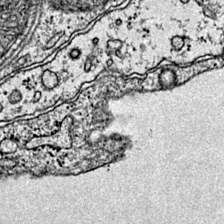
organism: Mouse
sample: Primary visual cortex